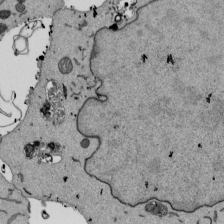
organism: Mouse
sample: ED-1 cell nuclei; centrioles